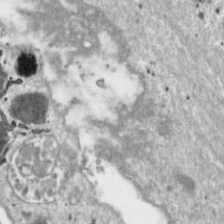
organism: Toxoplasma gondii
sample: Parasites in a vacuole inside a host cell